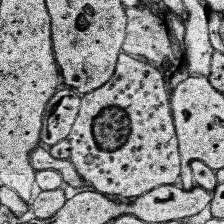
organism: Human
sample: Temporal Lobe